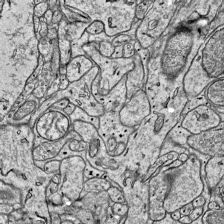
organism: Mouse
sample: Visual Cortex